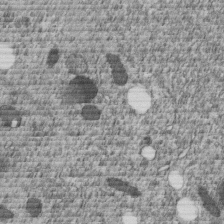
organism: C. elegans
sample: C. elegans embryo early stage